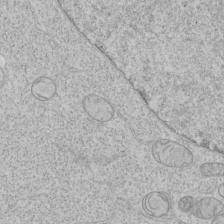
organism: Human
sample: Mitochondria in HCT116 cells